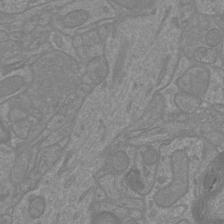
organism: Mouse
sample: Cortical neurons